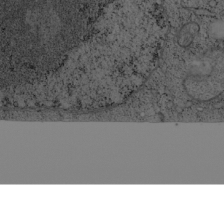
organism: African green monkey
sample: COS-7 cells